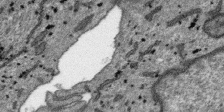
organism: Human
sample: Lung epithelial cells, uninfected (mock) control